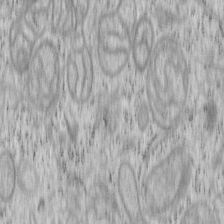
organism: Human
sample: HeLa cells